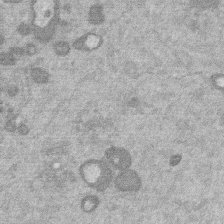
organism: Mouse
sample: Dividing mouse embryo 1 cell stage